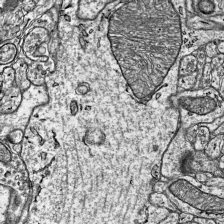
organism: Mouse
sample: Visual Cortex